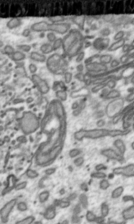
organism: Toxoplasma gondii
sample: Parasites in a vacuole inside a host cell